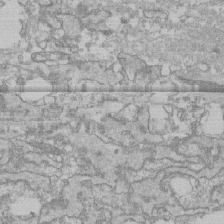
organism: Human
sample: CRL-1474